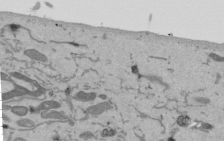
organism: Mouse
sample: ED-1 cell nuclei; centrioles